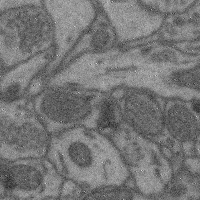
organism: Mouse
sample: Cerebral cortex